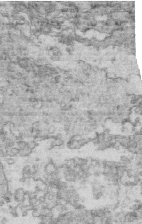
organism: Mouse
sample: Multiciliated cells